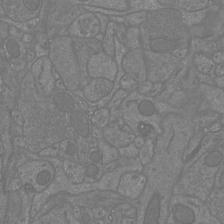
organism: Mouse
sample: Cortical neurons